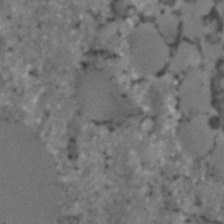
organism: C. elegans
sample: C. elegans embryo